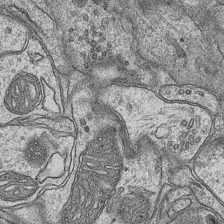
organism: Mouse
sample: CA1 Hippocampus